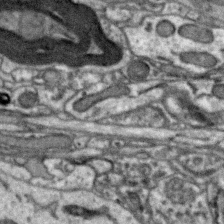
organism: Zebra finch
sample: Brain